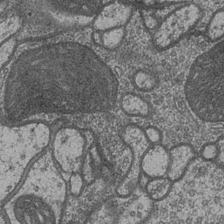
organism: Drosophila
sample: Optic medulla